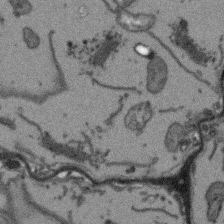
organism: Arabidopsis thaliana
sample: Root tip